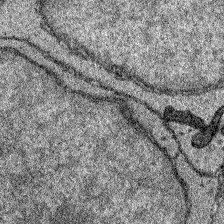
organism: Zebrafish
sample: Larval olfactory bulb